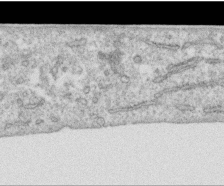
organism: Human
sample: Centriole in RPE cells